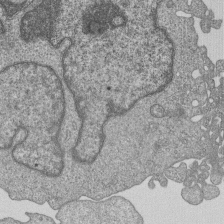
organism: Human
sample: MDA-MB-231 cells